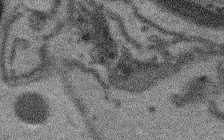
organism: Arabidopsis thaliana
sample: Root tip